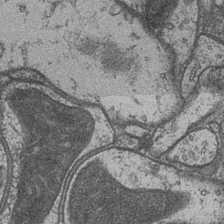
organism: Drosophila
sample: Optic medulla